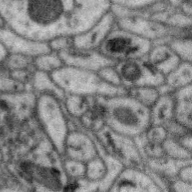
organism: Zebra finch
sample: Brain